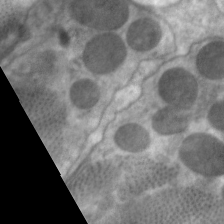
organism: C. elegans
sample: Pharynx